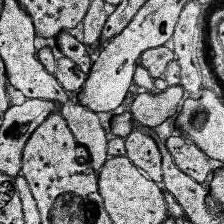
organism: Human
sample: Temporal Lobe